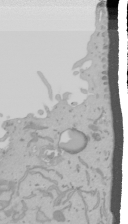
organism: Mouse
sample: Cancer cell death in ED-1 cells